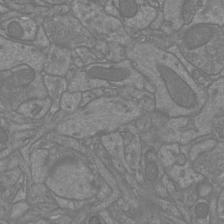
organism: Mouse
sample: Cortical neurons